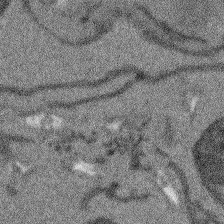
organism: Arabidopsis thaliana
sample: Root tip